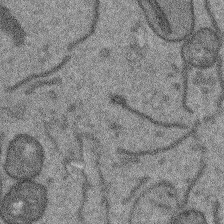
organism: Arabidopsis thaliana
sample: Root tip